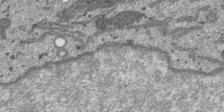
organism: Human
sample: Lung epithelial cells infected with SARS-CoV-2